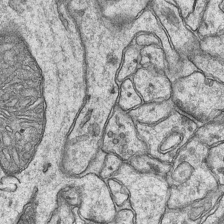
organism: Mouse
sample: CA1 Hippocampus